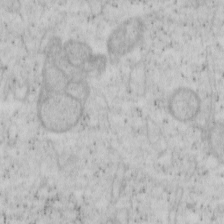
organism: Human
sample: HeLa cells